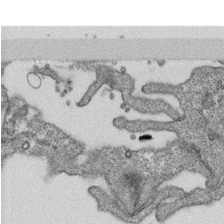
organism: African green monkey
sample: Vero E6 cells infected with SARS-CoV-2